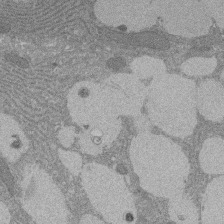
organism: Rat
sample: Salivary granule